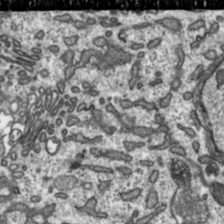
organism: Toxoplasma gondii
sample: Parasites in a vacuole inside a host cell